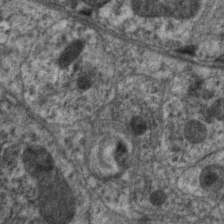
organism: C. elegans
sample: Pharynx